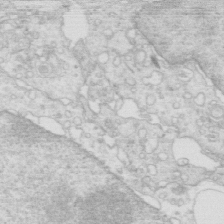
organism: Mouse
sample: Multiciliated cells